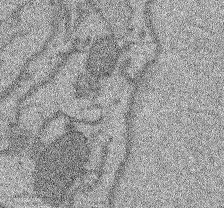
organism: Human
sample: HeLa cells